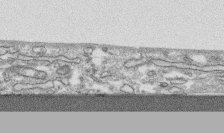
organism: Human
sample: CRL-1474